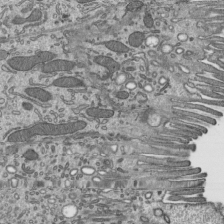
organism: Mouse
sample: Mouse epididymis efferent ductule cilia